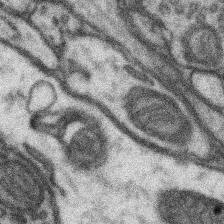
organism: Mouse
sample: Somatosensory cortex neuropil